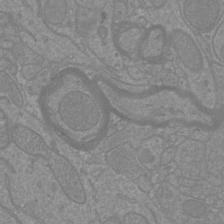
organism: Mouse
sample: Cortical neurons